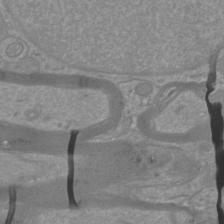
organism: Mouse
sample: Cortical neurons